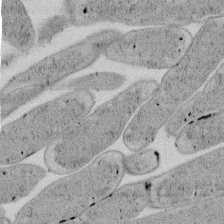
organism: E. coli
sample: Bacterial nucleoid